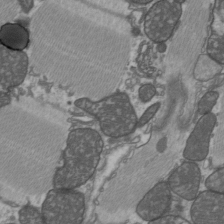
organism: C57BL Mouse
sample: Heart